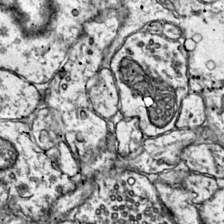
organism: Mouse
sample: Primary visual cortex